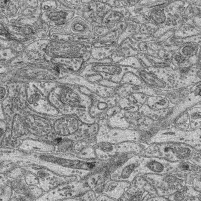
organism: Mouse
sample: Retina